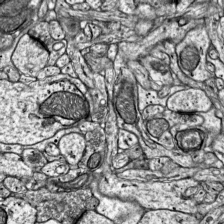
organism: Mouse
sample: Visual Cortex